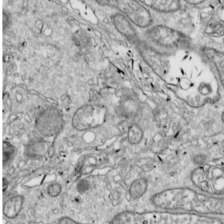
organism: Drosophila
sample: Cell division; meiosis; drosophila spermatocytes